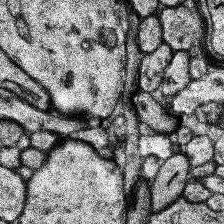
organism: Human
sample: Temporal Lobe